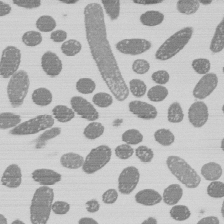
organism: E. coli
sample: Bacterial nucleoid